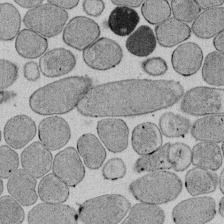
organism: E. coli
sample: Bacterial nucleoid